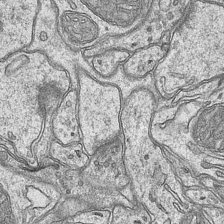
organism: Mouse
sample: CA1 Hippocampus